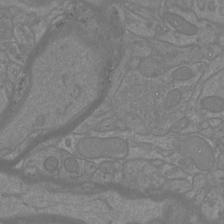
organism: Mouse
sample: Cortical neurons